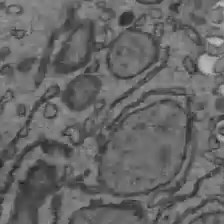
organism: C57BL Mouse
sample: Liver